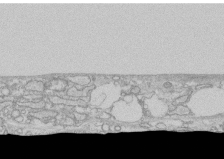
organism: Human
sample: CRL-1474